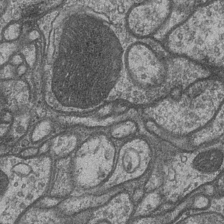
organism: Drosophila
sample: Optic medulla